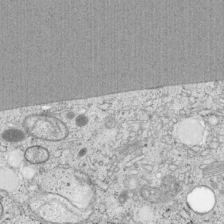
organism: African green monkey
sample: COS-7 cells